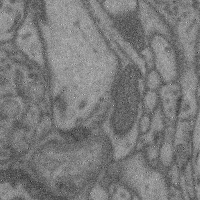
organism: Mouse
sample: Cerebral cortex